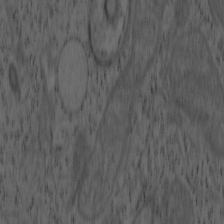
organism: Human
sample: HeLa cells